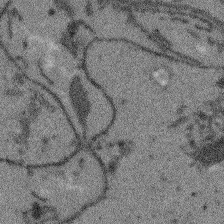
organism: Arabidopsis thaliana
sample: Root tip